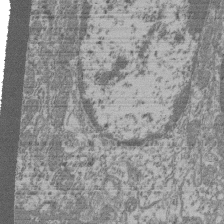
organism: Mouse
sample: Glomerulus